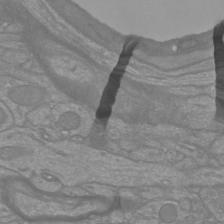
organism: Mouse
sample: Cortical neurons